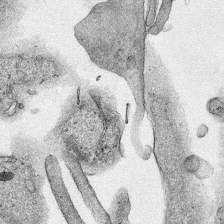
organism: Human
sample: Mitochondria in HCT116 cells